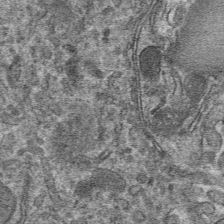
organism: Mouse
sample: Mouse hepatocytes